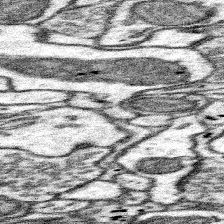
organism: Mouse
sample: Somatosensory cortex neuropil